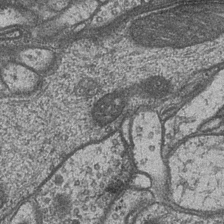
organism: Drosophila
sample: Optic medulla